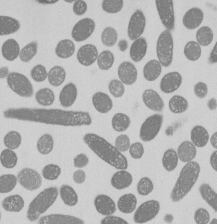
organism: E. coli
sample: Bacterial nucleoid